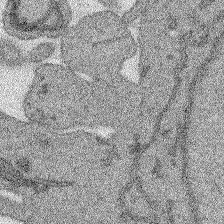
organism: Human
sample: HeLa cells